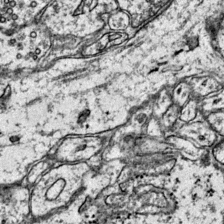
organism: Mouse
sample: Primary visual cortex